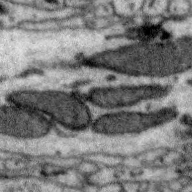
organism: Zebra finch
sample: Brain